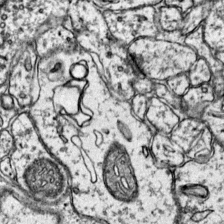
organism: Mouse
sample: Primary visual cortex